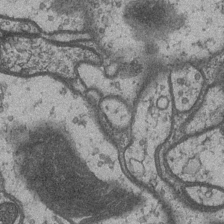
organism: Drosophila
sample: Optic medulla